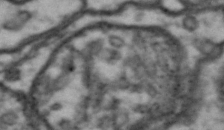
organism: Drosophila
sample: Brain